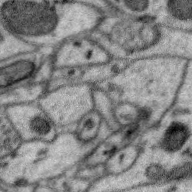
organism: Zebra finch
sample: Brain